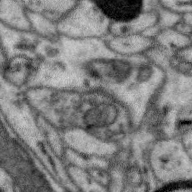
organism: Zebra finch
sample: Brain